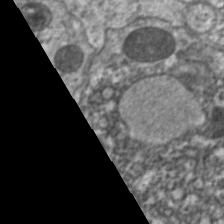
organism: C. elegans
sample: Pharynx